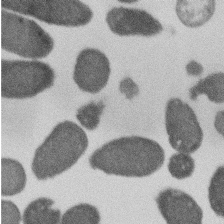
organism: E. coli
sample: Bacterial nucleoid